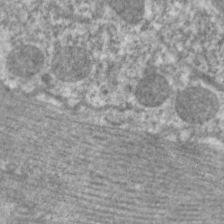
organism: C. elegans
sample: Pharynx